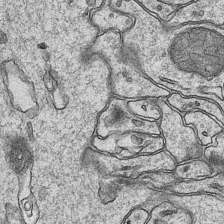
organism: Mouse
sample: CA1 Hippocampus